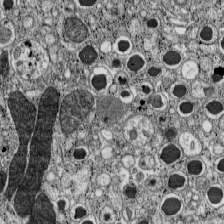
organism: C57BL Mouse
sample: Pancreatic islet